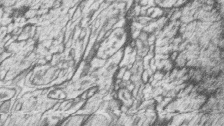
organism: Zebrafish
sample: synaptic ribbons in rod cells and cone cells